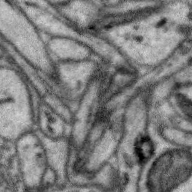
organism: Zebra finch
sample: Brain